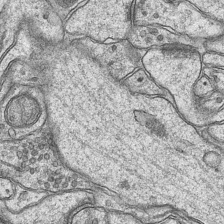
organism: Mouse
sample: CA1 Hippocampus